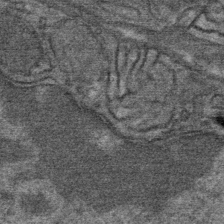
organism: Mouse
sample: Mouse Salivary gland